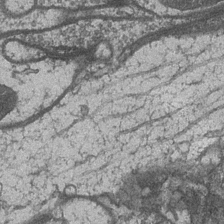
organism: Drosophila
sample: Optic medulla